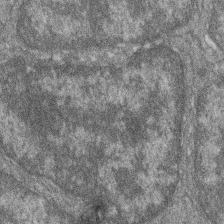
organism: Zebrafish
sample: Cilia; retinal pigment epithelium